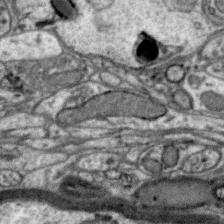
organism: Zebra finch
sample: Brain